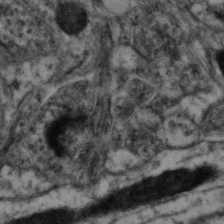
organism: Mouse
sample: Neocortex